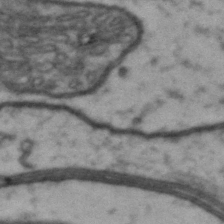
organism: Drosophila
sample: Brain